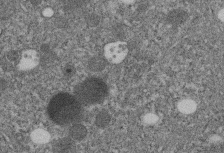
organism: C. elegans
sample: C. elegans embryo early stage